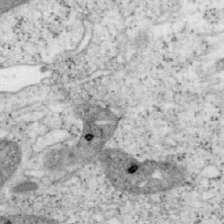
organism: Mouse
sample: OT-I killer T cells with ID8 ovarian cancer cells